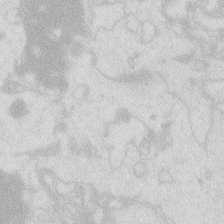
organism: Zebrafish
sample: Macrophage